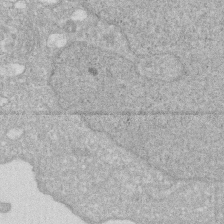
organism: Human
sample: HIV infected U937 cells